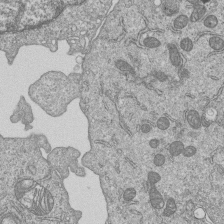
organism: Human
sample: MDA-MB-231 cells